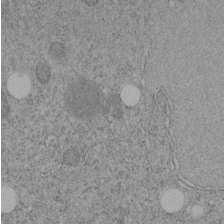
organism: C. elegans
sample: C. elegans embryo early stage